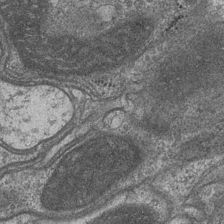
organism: Drosophila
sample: Optic medulla